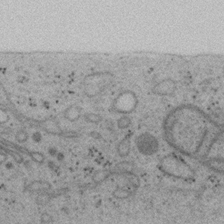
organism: Human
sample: HeLa cells